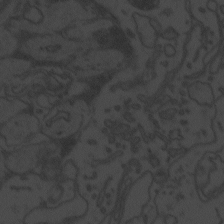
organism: Zebrafish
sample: Macrophage infected with Toxoplasma gondii